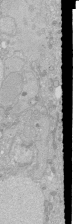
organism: Human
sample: Caco-2 cells